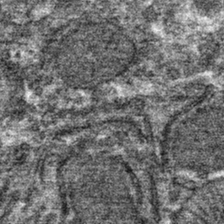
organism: Mouse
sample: Mouse hepatocytes